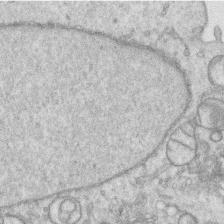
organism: Human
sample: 1205lu cells